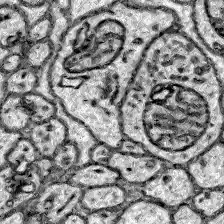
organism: Zebrafish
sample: Brain